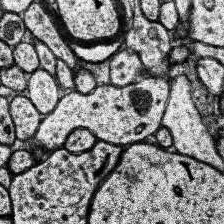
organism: Human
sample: Temporal Lobe